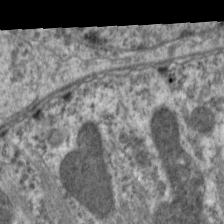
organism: C. elegans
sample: Pharynx